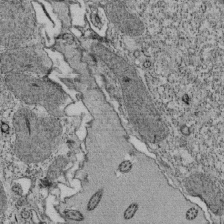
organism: Tetrahymena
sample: Cilia in tetrahymena